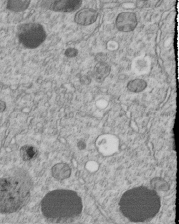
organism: C. elegans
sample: C. elegans embryo early stage